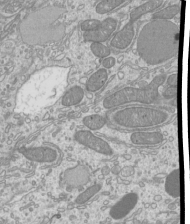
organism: Mouse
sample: Cilia; mouse epididymis